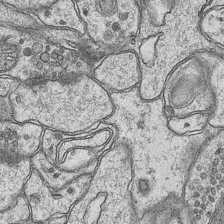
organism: Mouse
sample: CA1 Hippocampus